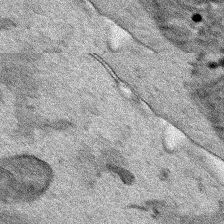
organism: Human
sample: Mitochondria in HCT116 cells